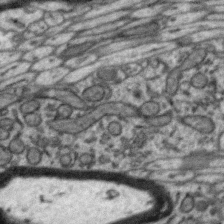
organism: Zebra finch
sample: Brain